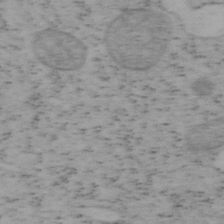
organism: Mouse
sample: OT-I killer T cells with ID8 ovarian cancer cells